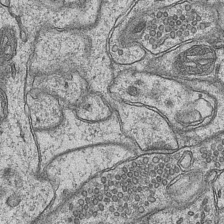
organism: Mouse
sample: CA1 Hippocampus